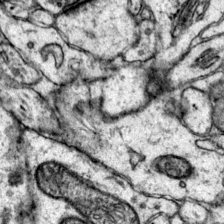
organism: Mouse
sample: Primary visual cortex